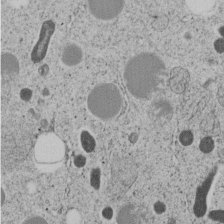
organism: C. elegans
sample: C. elegans embryo early stage